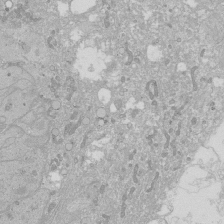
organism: Human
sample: Caco-2 cells